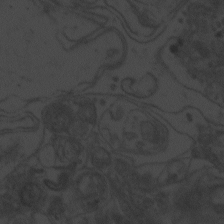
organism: Zebrafish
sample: Macrophage infected with Toxoplasma gondii